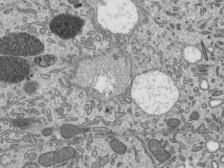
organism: Mouse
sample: Mouse epididymis efferent ductule cilia